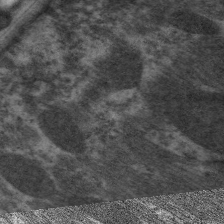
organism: C. elegans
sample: Pharynx